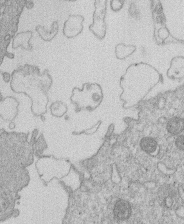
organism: Human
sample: Macrophage cells